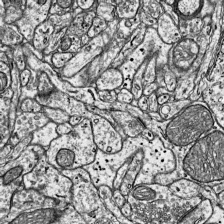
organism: Mouse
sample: Visual Cortex